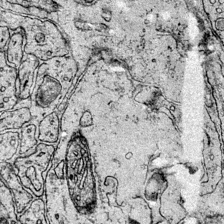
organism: Mouse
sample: Primary visual cortex